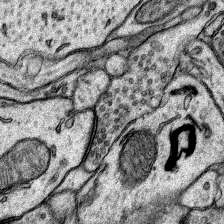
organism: Rat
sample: Hippocampus